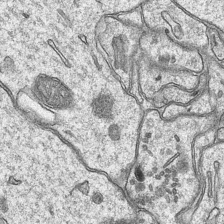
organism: Mouse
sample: CA1 Hippocampus